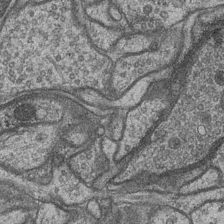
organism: Drosophila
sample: Optic medulla